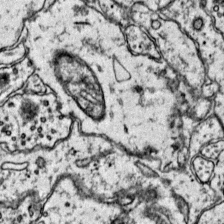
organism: Mouse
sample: Primary visual cortex